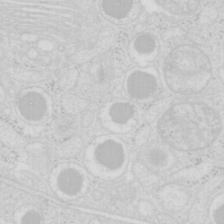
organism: Mouse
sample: Pancreas